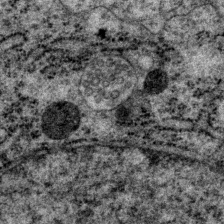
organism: P. pacificus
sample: Pharynx